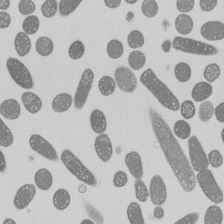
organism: E. coli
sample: Bacterial nucleoid